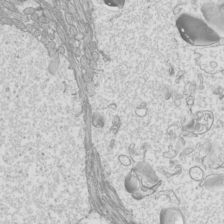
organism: Mouse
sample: Cilia; mouse epididymis